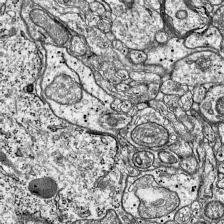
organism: Mouse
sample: Visual Cortex